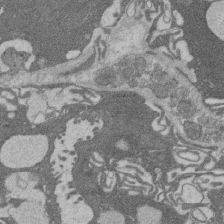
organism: Rat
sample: Salivary granule